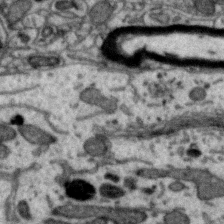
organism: Zebra finch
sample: Brain